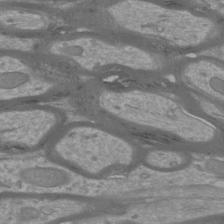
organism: Mouse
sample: Cortical neurons